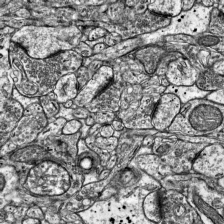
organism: Mouse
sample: Visual Cortex